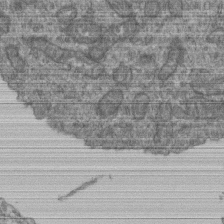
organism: Human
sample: Retinal organoid Rod and Cone cells